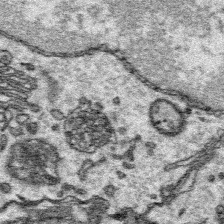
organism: Platynereis dumerilii